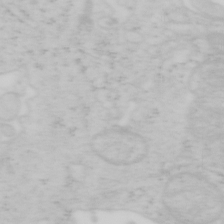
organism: Mouse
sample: OT-I killer T cells with ID8 ovarian cancer cells